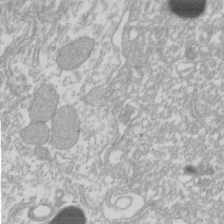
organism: Xenopus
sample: Cilia; centrioles in frog embryo cells